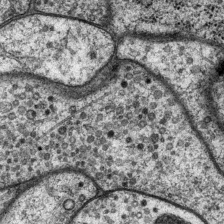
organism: P. pacificus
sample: Pharynx